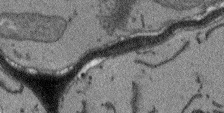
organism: Arabidopsis thaliana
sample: Root tip